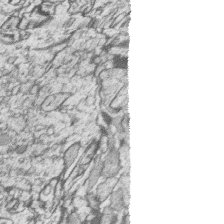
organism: Zebrafish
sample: synaptic ribbons in rod cells and cone cells